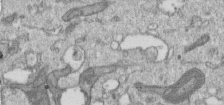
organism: Human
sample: Centriole in RPE cells